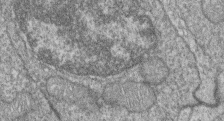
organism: Zebrafish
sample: Cilia; retinal pigment epithelium